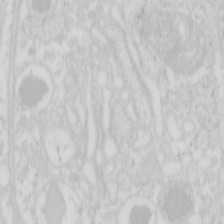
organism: Mouse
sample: Pancreas